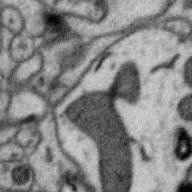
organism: Zebra finch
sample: Brain